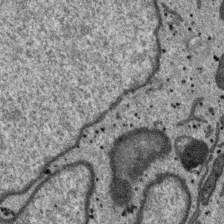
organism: Human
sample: Lung epithelial cells, uninfected (mock) control